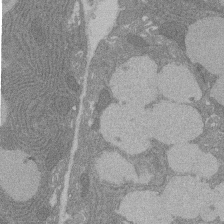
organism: Rat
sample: Salivary granule